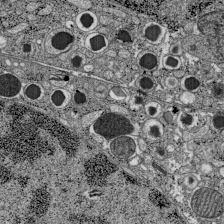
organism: C57BL Mouse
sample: Pancreatic islet